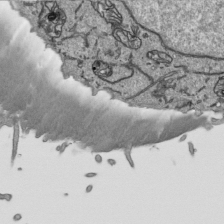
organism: Human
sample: Mitochondria in HCT116 cells